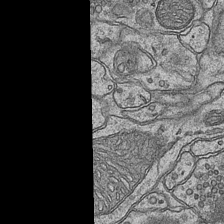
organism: Mouse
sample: CA1 Hippocampus